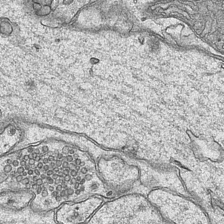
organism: Mouse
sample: CA1 Hippocampus